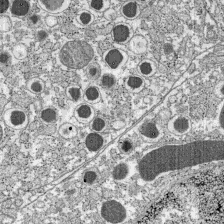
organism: C57BL Mouse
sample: Pancreatic islet